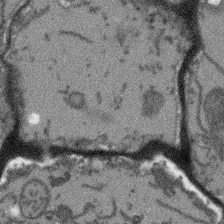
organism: Arabidopsis thaliana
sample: Root tip